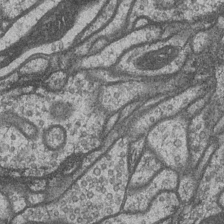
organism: Drosophila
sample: Optic medulla